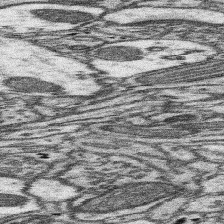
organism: Mouse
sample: Somatosensory cortex neuropil